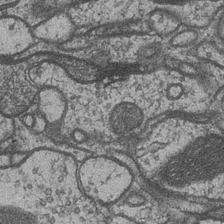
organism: Drosophila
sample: Optic medulla